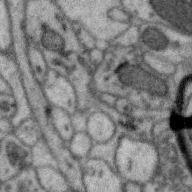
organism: Zebra finch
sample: Brain